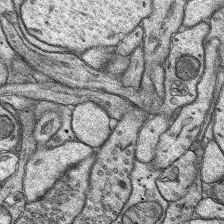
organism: Rat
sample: Hippocampus